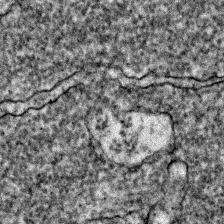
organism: Zebrafish